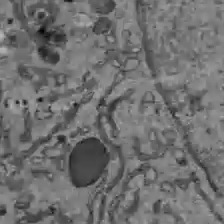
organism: C57BL Mouse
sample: Liver